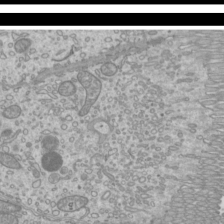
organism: Mouse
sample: Cilia; mouse epididymis